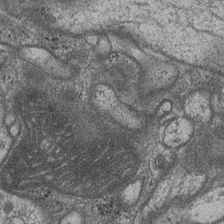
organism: Drosophila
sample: Optic medulla